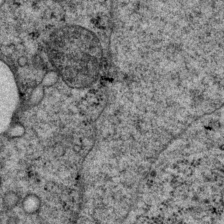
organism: P. pacificus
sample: Pharynx